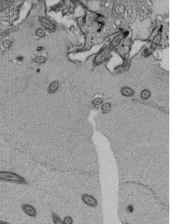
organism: Tetrahymena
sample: Cilia in tetrahymena